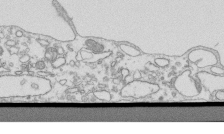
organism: Mouse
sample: Macrophages